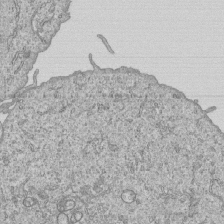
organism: Human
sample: MDA-MB-231 cells